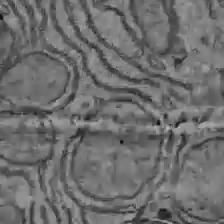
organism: C57BL Mouse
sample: Liver